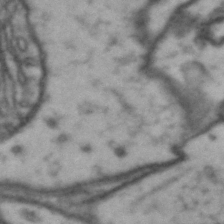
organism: Drosophila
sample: Brain